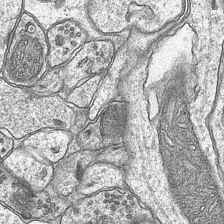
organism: Mouse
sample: CA1 Hippocampus